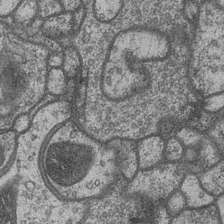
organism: Drosophila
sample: Optic medulla